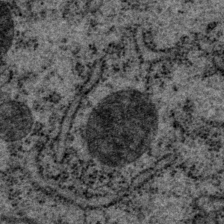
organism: P. pacificus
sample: Pharynx